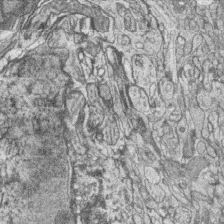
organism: Zebrafish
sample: synaptic ribbons in rod cells and cone cells